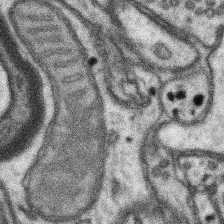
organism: Mouse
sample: Somatosensory cortex neuropil